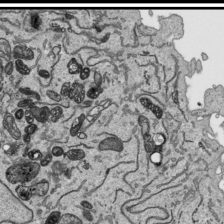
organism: Human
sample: Mitochondria in HCT116 cells